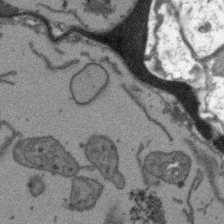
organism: Arabidopsis thaliana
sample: Root tip